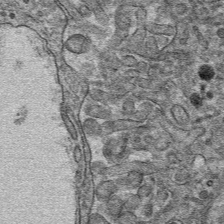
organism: Mouse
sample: Mouse hepatocytes